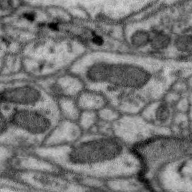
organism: Zebra finch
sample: Brain